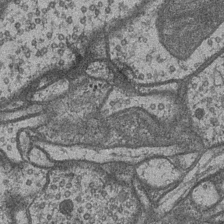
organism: Drosophila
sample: Optic medulla